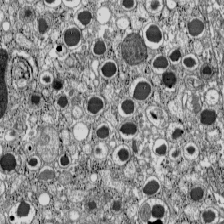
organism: C57BL Mouse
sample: Pancreatic islet